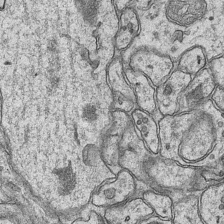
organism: Mouse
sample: CA1 Hippocampus